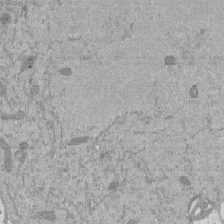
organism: Mouse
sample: ED-1 cell nuclei; centrioles